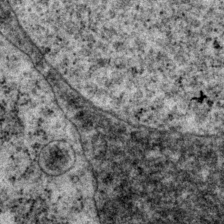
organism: P. pacificus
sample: Pharynx